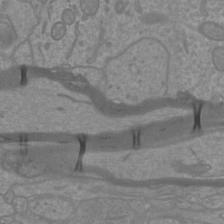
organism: Mouse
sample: Cortical neurons